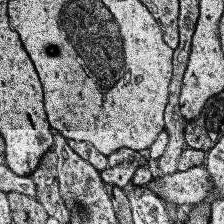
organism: Human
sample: Temporal Lobe